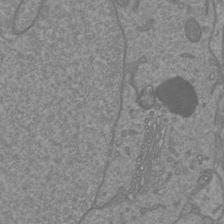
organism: Mouse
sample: Cortical neurons